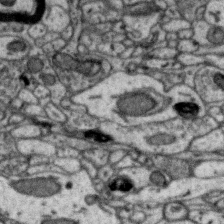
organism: Zebra finch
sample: Brain